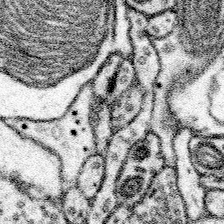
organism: Mouse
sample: Somatosensory cortex neuropil